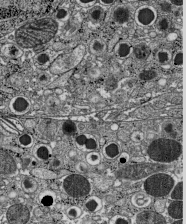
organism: C57BL Mouse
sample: Pancreatic islet